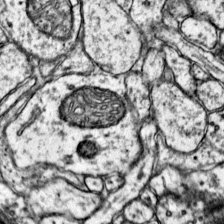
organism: Mouse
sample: Primary visual cortex